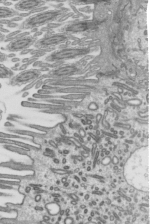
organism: Mouse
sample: Mouse epididymis efferent ductule cilia